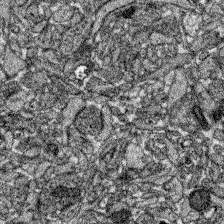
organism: Zebrafish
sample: Larval olfactory bulb